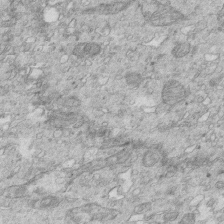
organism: Mouse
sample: Multiciliated cells